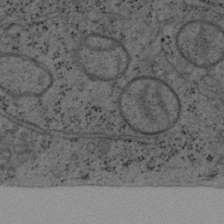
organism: Human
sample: HeLa cells